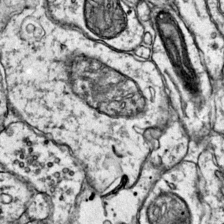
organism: Mouse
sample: Primary visual cortex